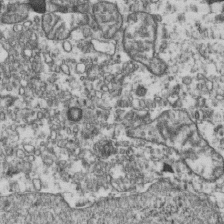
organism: Human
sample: Activated Jurkat CD4+ T cells